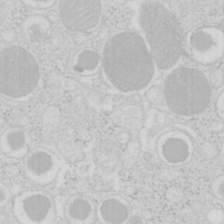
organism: Mouse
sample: Pancreas